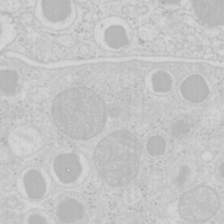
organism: Mouse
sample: Pancreas